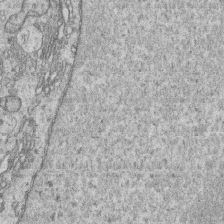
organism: Human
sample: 1205lu cells